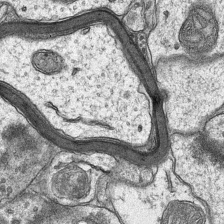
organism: Mouse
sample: CA1 Hippocampus